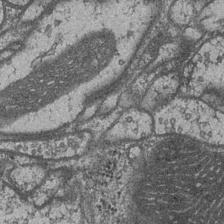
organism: Drosophila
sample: Optic medulla